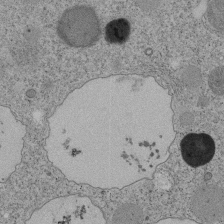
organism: Tetrahymena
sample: Cilia in tetrahymena